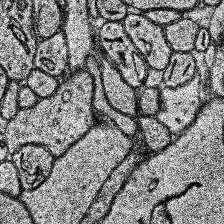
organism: Human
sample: Temporal Lobe